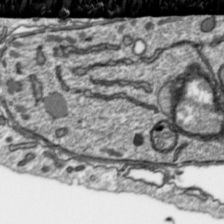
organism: Toxoplasma gondii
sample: Parasites in a vacuole inside a host cell